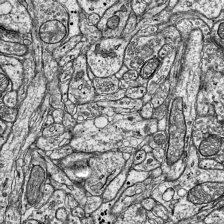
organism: Mouse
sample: Visual Cortex